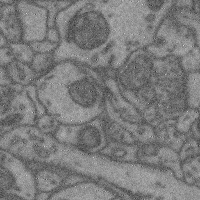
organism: Mouse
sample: Cerebral cortex